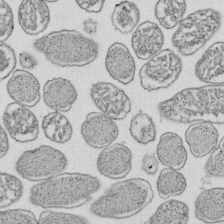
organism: E. coli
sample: Bacterial nucleoid